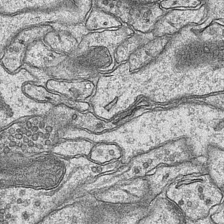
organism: Mouse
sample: CA1 Hippocampus